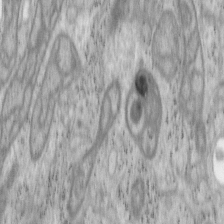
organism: Human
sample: HeLa cells